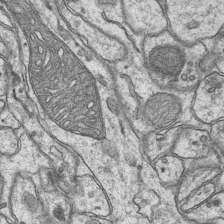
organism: Mouse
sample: CA1 Hippocampus